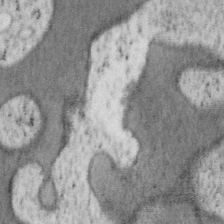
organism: Mouse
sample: OT-I killer T cells with ID8 ovarian cancer cells